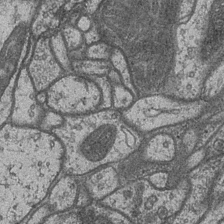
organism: Drosophila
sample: Optic medulla